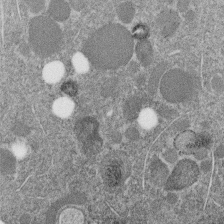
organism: C. elegans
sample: C. elegans embryo early stage